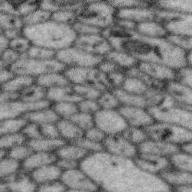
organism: Zebra finch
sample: Brain